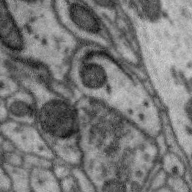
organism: Zebra finch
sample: Brain